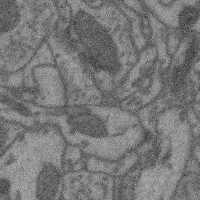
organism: Mouse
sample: Cerebral cortex